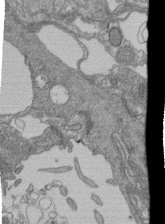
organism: Human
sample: Retinal organoid Rod and Cone cells